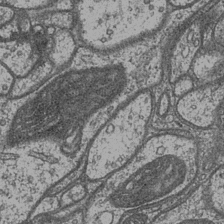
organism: Drosophila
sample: Optic medulla